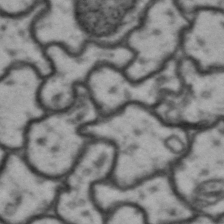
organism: Drosophila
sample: Brain